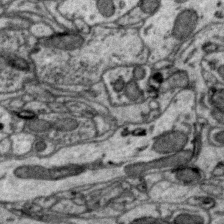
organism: Zebra finch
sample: Brain